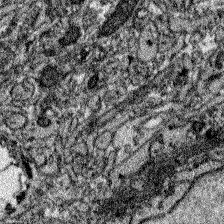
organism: Zebrafish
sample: Larval olfactory bulb